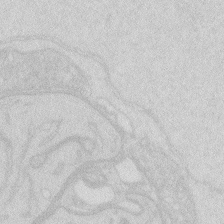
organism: Zebrafish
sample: Macrophage